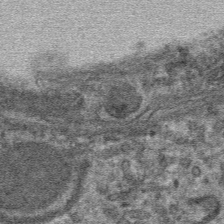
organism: Mouse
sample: Mouse hepatocytes